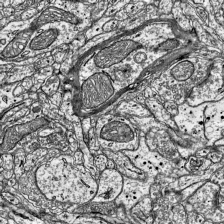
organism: Mouse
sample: Visual Cortex